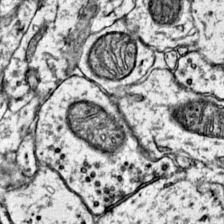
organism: Mouse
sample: Primary visual cortex